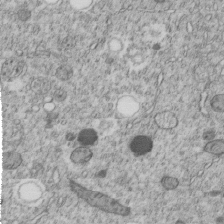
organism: C. elegans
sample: C. elegans embryo early stage